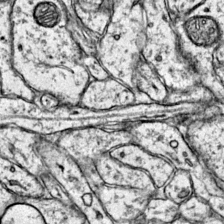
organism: Mouse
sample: Primary visual cortex